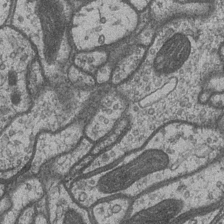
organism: Drosophila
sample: Optic medulla